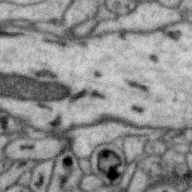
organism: Zebra finch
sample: Brain